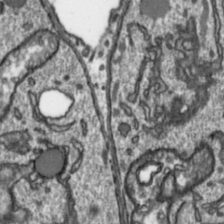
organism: Toxoplasma gondii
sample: Parasites in a vacuole inside a host cell